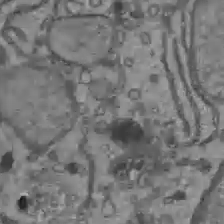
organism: C57BL Mouse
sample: Liver